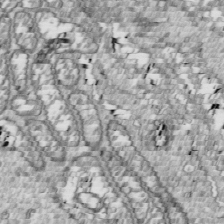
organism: Drosophila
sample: Cell division; meiosis; drosophila spermatocytes